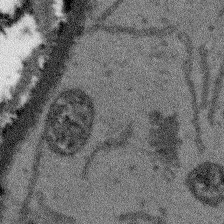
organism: Arabidopsis thaliana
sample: Root tip